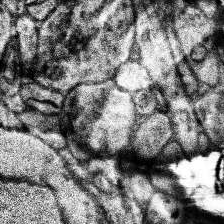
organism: Human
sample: Temporal Lobe